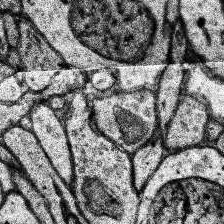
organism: Human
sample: Temporal Lobe